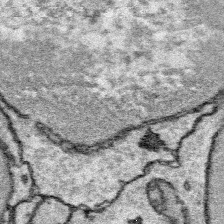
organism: Platynereis dumerilii